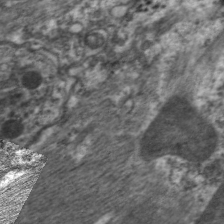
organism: C. elegans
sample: Pharynx